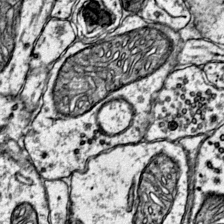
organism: Mouse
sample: Primary visual cortex